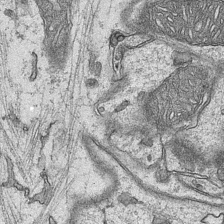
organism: Mouse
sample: CA1 Hippocampus